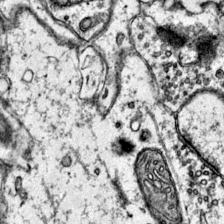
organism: Mouse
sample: Primary visual cortex